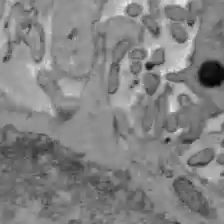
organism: C57BL Mouse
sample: Liver